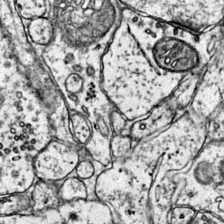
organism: Mouse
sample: Primary visual cortex